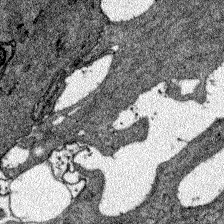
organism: Zebrafish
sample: Larval olfactory bulb